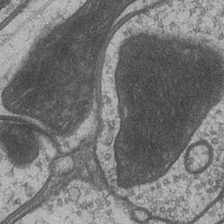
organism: Drosophila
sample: Optic medulla